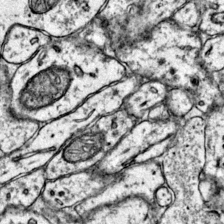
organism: Mouse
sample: Primary visual cortex